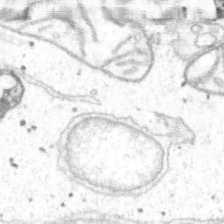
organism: Human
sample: HeLa cells